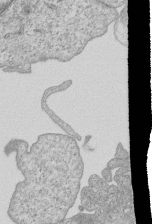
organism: Human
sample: MDA-MB-231 cells